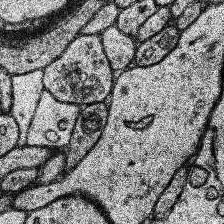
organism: Human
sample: Temporal Lobe